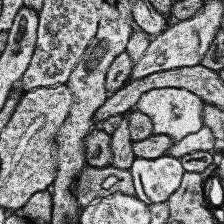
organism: Human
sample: Temporal Lobe